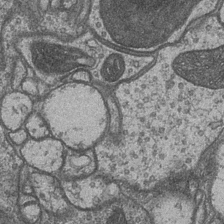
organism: Drosophila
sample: Optic medulla